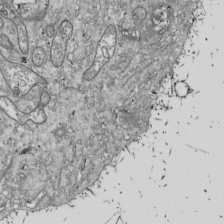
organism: Drosophila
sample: Cell division; meiosis; drosophila spermatocytes